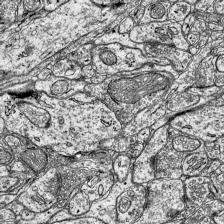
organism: Mouse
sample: Visual Cortex